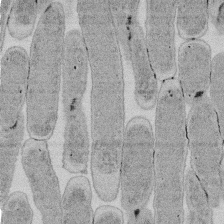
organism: E. coli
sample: Bacterial nucleoid